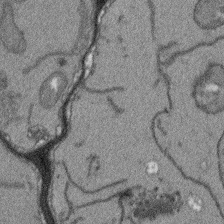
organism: Arabidopsis thaliana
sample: Root tip